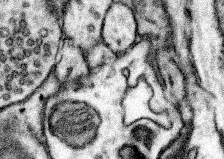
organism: Mouse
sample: Somatosensory cortex neuropil